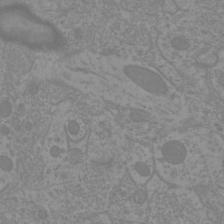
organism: Mouse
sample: Cortical neurons